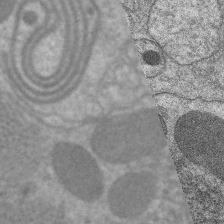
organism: C. elegans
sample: Pharynx